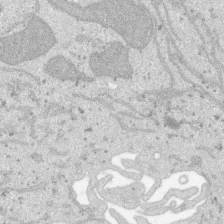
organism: Human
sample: Lung epithelial cells infected with SARS-CoV-2